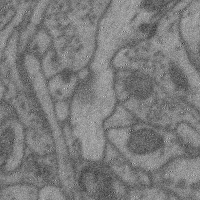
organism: Mouse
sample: Cerebral cortex